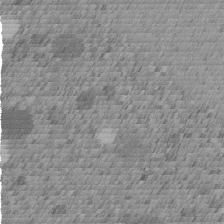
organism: C. elegans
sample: C. elegans embryo early stage